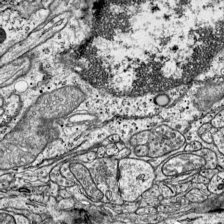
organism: Mouse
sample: Visual Cortex